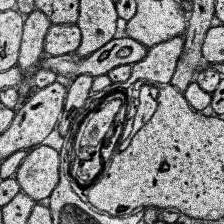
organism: Human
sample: Temporal Lobe